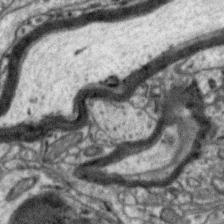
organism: Zebra finch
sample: Brain